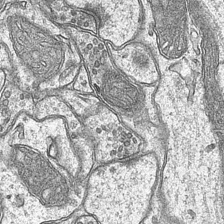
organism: Mouse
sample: CA1 Hippocampus